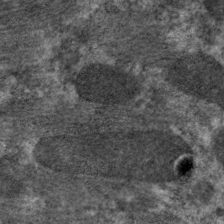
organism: C. elegans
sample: Pharynx